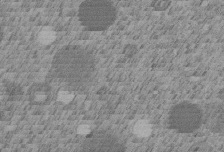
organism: C. elegans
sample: C. elegans embryo early stage